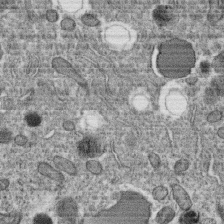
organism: C. elegans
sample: C. elegans oocyte; sperm cells